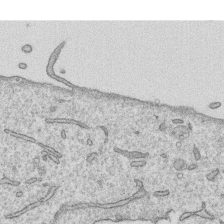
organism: Human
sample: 1205lu cells